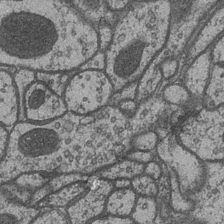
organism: Drosophila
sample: Optic medulla